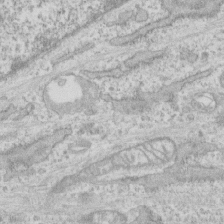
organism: Human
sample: CRL-1474